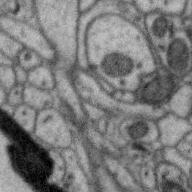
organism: Zebra finch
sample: Brain